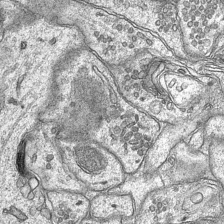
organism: Mouse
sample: CA1 Hippocampus